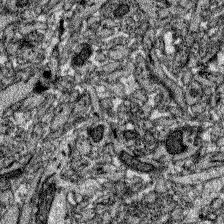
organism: Zebrafish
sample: Larval olfactory bulb